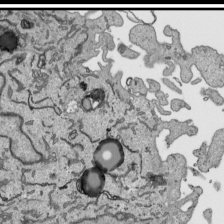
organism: Human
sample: Mitochondria in HCT116 cells